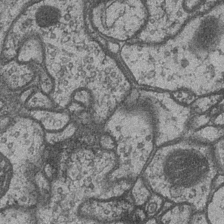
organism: Drosophila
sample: Optic medulla